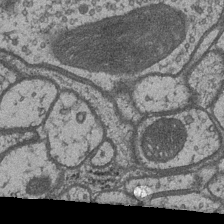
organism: Drosophila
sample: Optic medulla